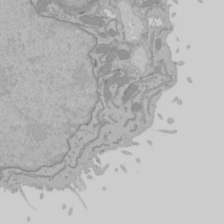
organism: Mouse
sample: Cancer cell death in ED-1 cells